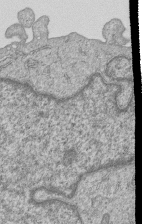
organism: Human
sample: MDA-MB-231 cells